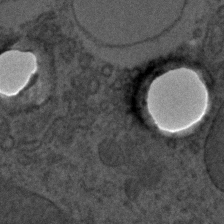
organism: C. elegans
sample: C. elegans embryo